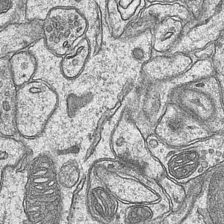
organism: Mouse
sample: CA1 Hippocampus